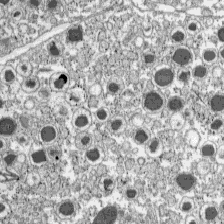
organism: C57BL Mouse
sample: Pancreatic islet